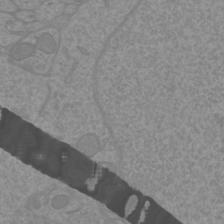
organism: Mouse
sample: Cortical neurons